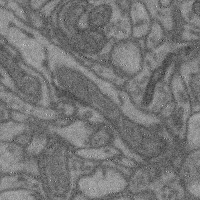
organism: Mouse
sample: Cerebral cortex